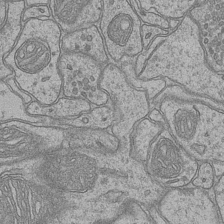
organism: Mouse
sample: CA1 Hippocampus